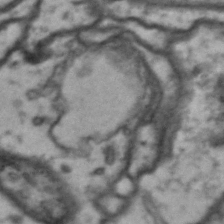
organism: Drosophila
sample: Brain